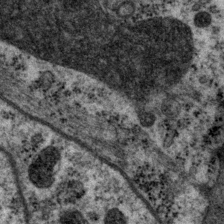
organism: P. pacificus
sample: Pharynx